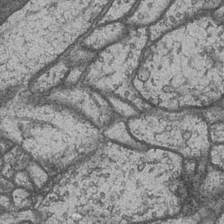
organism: Drosophila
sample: Optic medulla